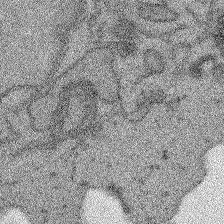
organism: Human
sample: HeLa cells